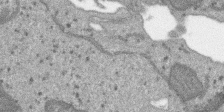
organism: Human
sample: Lung epithelial cells infected with SARS-CoV-2